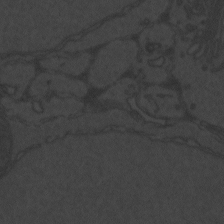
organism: Zebrafish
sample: Macrophage infected with Toxoplasma gondii